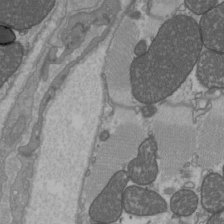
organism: C57BL Mouse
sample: Heart